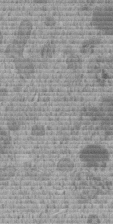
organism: C. elegans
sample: C. elegans embryo early stage